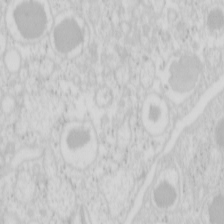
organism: Mouse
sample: Pancreas